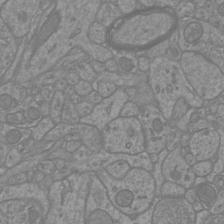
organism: Mouse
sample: Cortical neurons